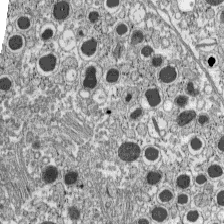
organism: C57BL Mouse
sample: Pancreatic islet